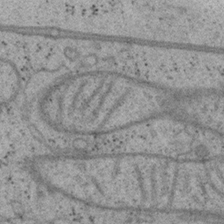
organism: Human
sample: HeLa cells